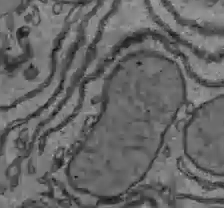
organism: C57BL Mouse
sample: Liver